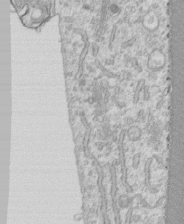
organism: Human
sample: CRL-1474